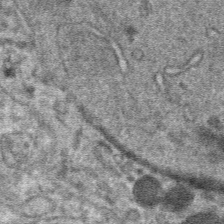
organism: Mouse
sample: Mouse hepatocytes